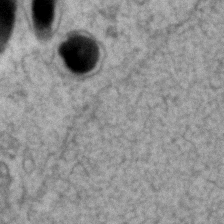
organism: Zebrafish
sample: Zebrafish embryo